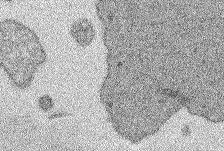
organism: Human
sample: HeLa cells